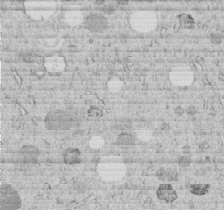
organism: C. elegans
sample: C. elegans embryo early stage